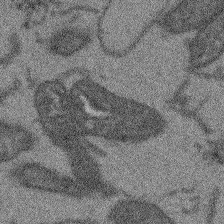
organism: Arabidopsis thaliana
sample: Root tip